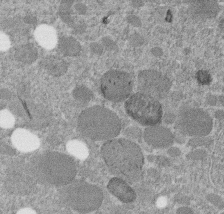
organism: C. elegans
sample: C. elegans embryo early stage